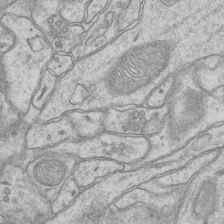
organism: Mouse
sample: CA1 Hippocampus